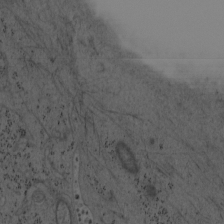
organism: Mouse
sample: OT-I killer T cells with ID8 ovarian cancer cells